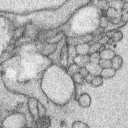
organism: Rabbit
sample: Retina